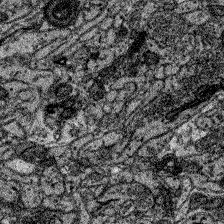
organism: Zebrafish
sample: Larval olfactory bulb